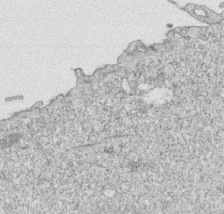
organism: Human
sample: HeLa cell HIV synapse